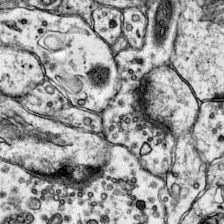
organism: Mouse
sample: Primary visual cortex